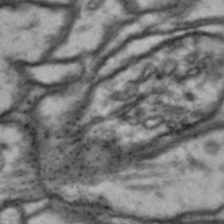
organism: Drosophila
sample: Brain